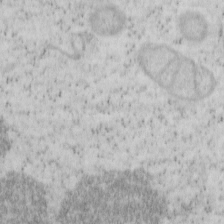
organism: Human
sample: HeLa cells